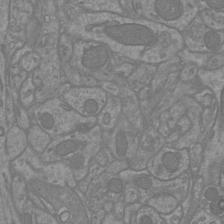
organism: Mouse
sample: Cortical neurons